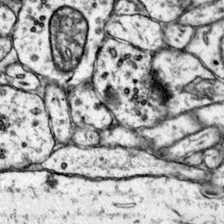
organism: Mouse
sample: Primary visual cortex